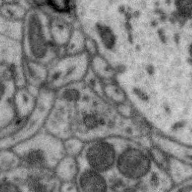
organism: Zebra finch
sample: Brain